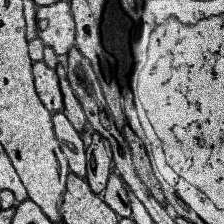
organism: Human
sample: Temporal Lobe